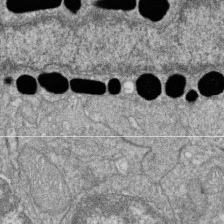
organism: Zebrafish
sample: Cilia; retinal pigment epithelium